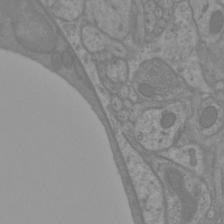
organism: Mouse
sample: Cortical neurons